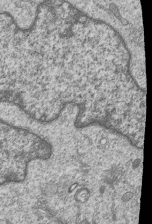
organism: Human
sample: MDA-MB-231 cells